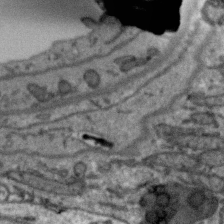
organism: Zebra finch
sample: Brain